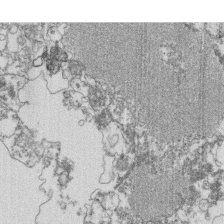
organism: Human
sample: HeLa cell HIV synapse